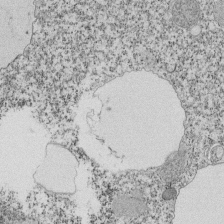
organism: Tetrahymena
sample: Cilia in tetrahymena